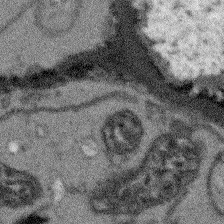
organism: Arabidopsis thaliana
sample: Root tip